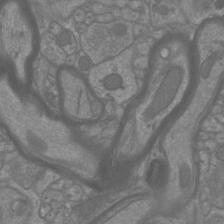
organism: Mouse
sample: Cortical neurons